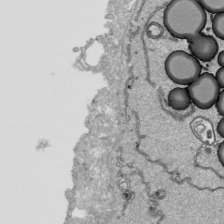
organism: Human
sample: Mitochondria in HCT116 cells